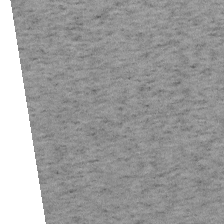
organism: Mouse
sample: OT-I killer T cells with ID8 ovarian cancer cells